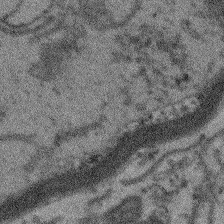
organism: Arabidopsis thaliana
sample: Root tip